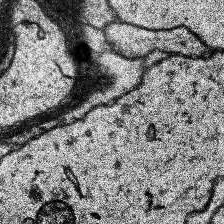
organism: Human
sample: Temporal Lobe